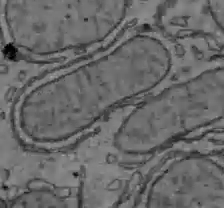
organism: C57BL Mouse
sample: Liver